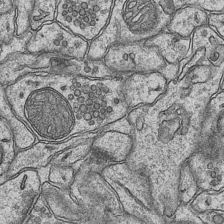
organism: Mouse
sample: CA1 Hippocampus